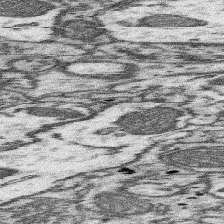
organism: Mouse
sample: Somatosensory cortex neuropil